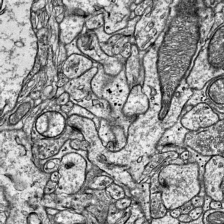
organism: Mouse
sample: Visual Cortex